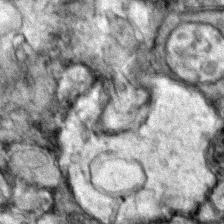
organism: Zebrafish